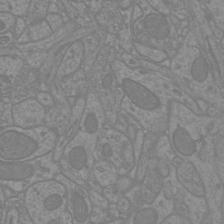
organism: Mouse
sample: Cortical neurons